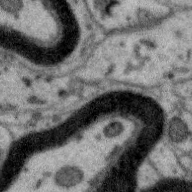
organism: Zebra finch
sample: Brain